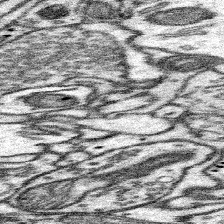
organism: Mouse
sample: Somatosensory cortex neuropil